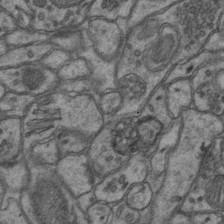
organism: Mouse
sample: CA1 Hippocampus